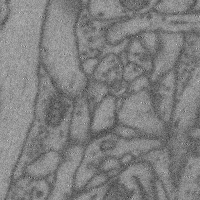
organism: Mouse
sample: Cerebral cortex